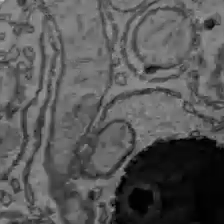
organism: C57BL Mouse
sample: Liver